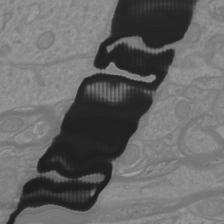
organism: Mouse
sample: Cortical neurons